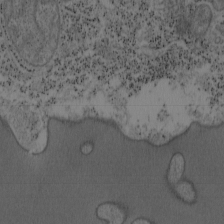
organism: Mouse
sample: OT-I killer T cells with ID8 ovarian cancer cells